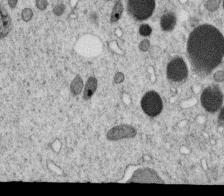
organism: C. elegans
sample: C. elegans oocyte; sperm cells